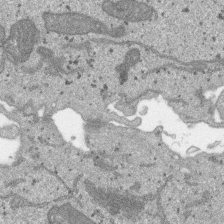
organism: Human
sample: Lung epithelial cells infected with SARS-CoV-2